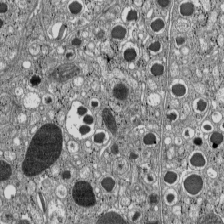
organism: C57BL Mouse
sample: Pancreatic islet